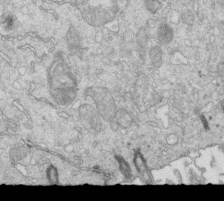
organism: Mouse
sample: Multiciliated cells